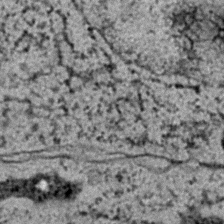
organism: C. elegans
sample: C. elegans embryo